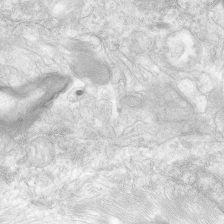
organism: Human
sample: Neocortex